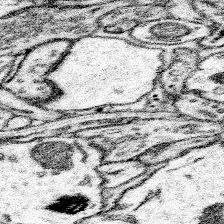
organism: Mouse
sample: Somatosensory cortex neuropil